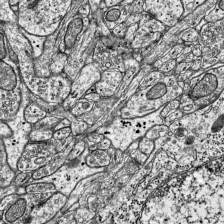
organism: Mouse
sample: Visual Cortex